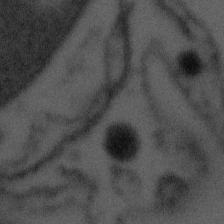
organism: Tuwongella immobilis